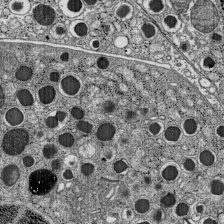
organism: C57BL Mouse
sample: Pancreatic islet